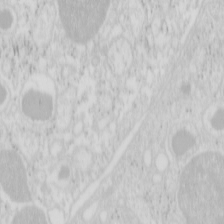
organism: Mouse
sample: Pancreas